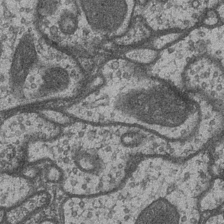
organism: Drosophila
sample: Optic medulla